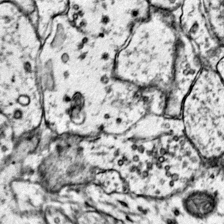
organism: Mouse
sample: Primary visual cortex